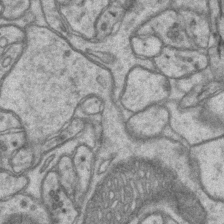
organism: Mouse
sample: CA1 Hippocampus